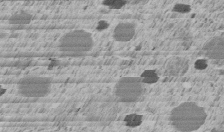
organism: C. elegans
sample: C. elegans embryo early stage